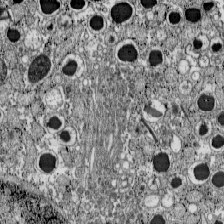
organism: C57BL Mouse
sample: Pancreatic islet